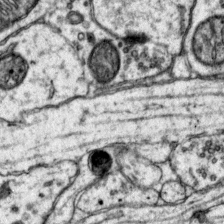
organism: Mouse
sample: Primary visual cortex